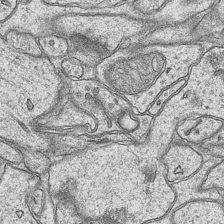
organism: Mouse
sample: CA1 Hippocampus